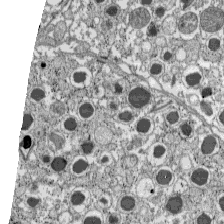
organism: C57BL Mouse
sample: Pancreatic islet